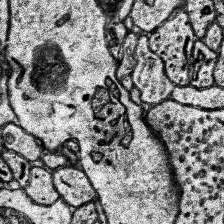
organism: Human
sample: Temporal Lobe